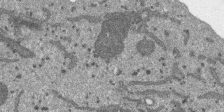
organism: Human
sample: Lung epithelial cells infected with SARS-CoV-2